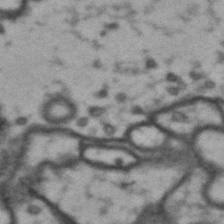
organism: Drosophila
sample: Brain